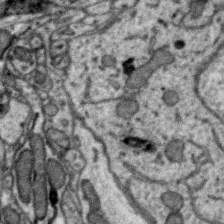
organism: Zebra finch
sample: Brain